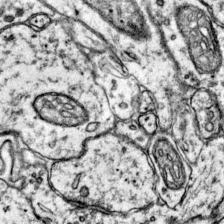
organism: Mouse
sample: Primary visual cortex